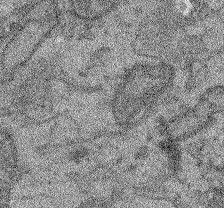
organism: Human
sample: HeLa cells